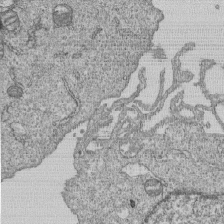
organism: Human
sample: MDA-MB-231 cells